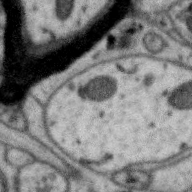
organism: Zebra finch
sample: Brain